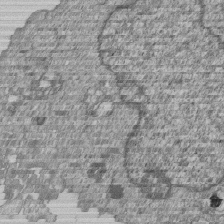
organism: Human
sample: MDA-MB-231 cells